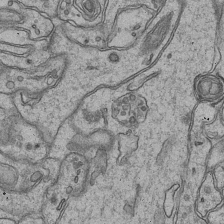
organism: Mouse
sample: CA1 Hippocampus